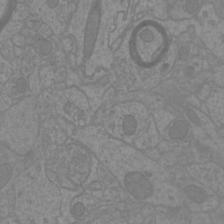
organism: Mouse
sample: Cortical neurons